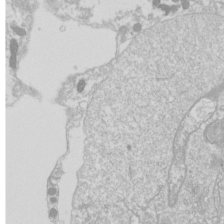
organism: Drosophila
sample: Cell division; meiosis; drosophila spermatocytes